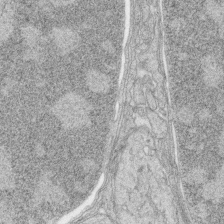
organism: Zebrafish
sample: synaptic ribbons in rod cells and cone cells